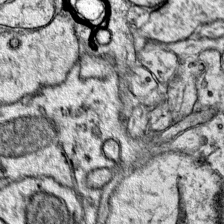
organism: Mouse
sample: Primary visual cortex